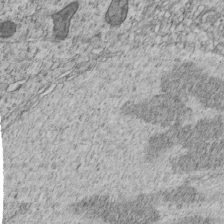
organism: C. elegans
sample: C. elegans embryo early stage